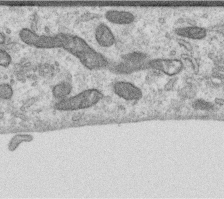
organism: Human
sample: Centriole in RPE cells